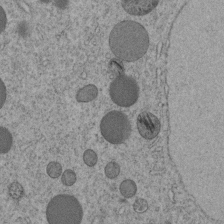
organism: C. elegans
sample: C. elegans embryo early stage